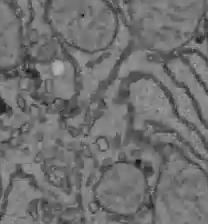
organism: C57BL Mouse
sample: Liver